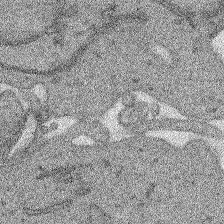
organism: Human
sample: HeLa cells